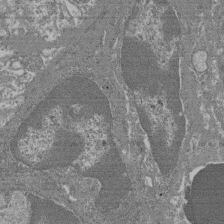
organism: Mouse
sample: Glomerulus